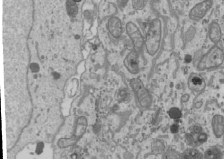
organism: Human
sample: Mitochondria in U2OS cells